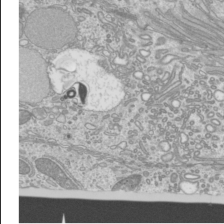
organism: Mouse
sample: Cilia; mouse epididymis